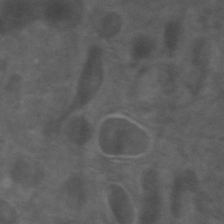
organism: Zebrafish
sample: Zebrafish embryo